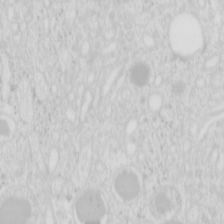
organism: Mouse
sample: Pancreas